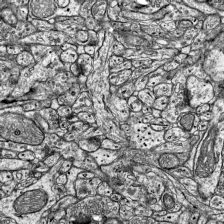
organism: Mouse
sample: Visual Cortex